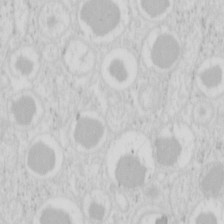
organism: Mouse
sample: Pancreas